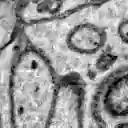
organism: Zebrafish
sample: Brain